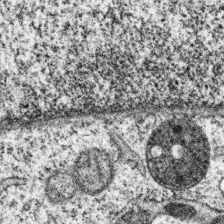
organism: Human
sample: HeLa cells